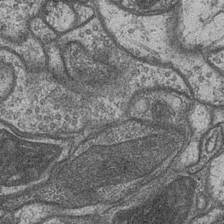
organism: Drosophila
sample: Optic medulla